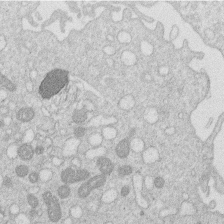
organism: Human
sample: Macrophage cells